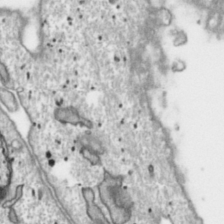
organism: Toxoplasma gondii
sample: Parasites in a vacuole inside a host cell